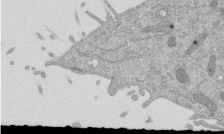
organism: Mouse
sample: ED-1 cell nuclei; centrioles